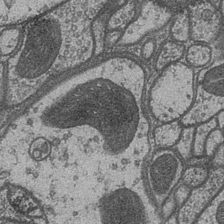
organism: Drosophila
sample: Optic medulla